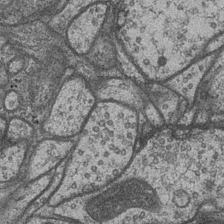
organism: Drosophila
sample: Optic medulla